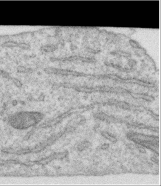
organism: Human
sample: Centriole in RPE cells